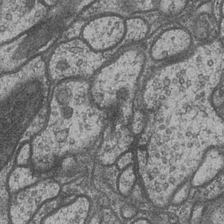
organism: Drosophila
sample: Optic medulla